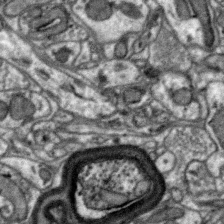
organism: Zebra finch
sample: Brain